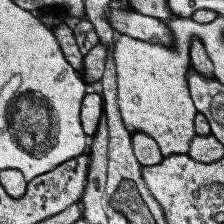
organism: Human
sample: Temporal Lobe